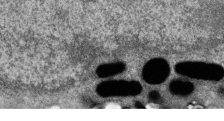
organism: Zebrafish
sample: Cilia; retinal pigment epithelium